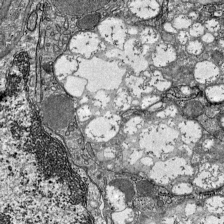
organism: Mouse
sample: Visual Cortex